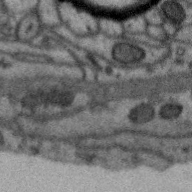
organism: Zebra finch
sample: Brain